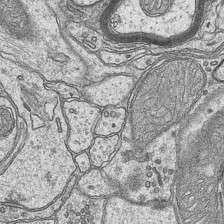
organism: Mouse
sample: CA1 Hippocampus